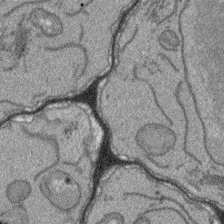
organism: Arabidopsis thaliana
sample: Root tip